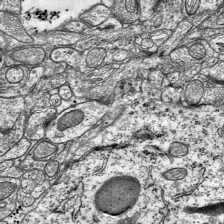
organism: Mouse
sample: Visual Cortex